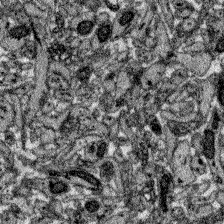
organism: Zebrafish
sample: Larval olfactory bulb